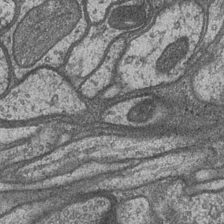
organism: Drosophila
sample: Optic medulla